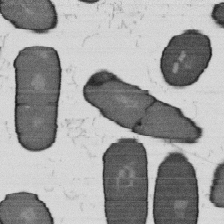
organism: B. subtilis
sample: Bacterial spore